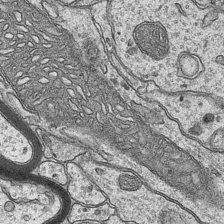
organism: Mouse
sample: CA1 Hippocampus